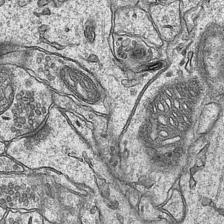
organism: Mouse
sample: CA1 Hippocampus